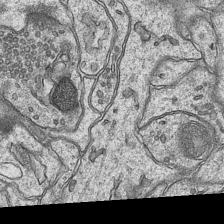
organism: Mouse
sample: CA1 Hippocampus